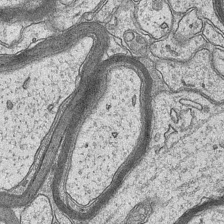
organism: Mouse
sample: CA1 Hippocampus